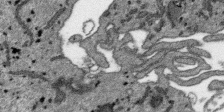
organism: Human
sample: Lung epithelial cells, uninfected (mock) control